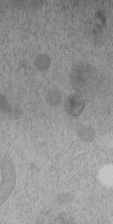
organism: C. elegans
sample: C. elegans embryo early stage